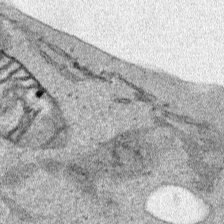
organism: Human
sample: Mitochondria in HCT116 cells